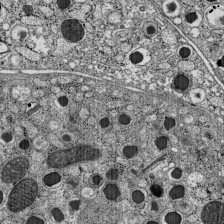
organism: C57BL Mouse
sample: Pancreatic islet